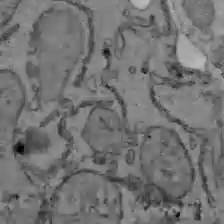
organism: C57BL Mouse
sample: Liver